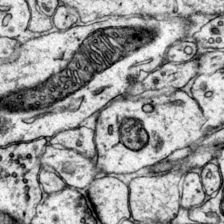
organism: Mouse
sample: Primary visual cortex